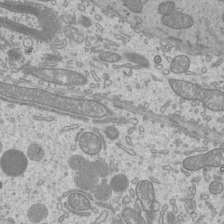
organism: Mouse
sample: Cilia; mouse epididymis